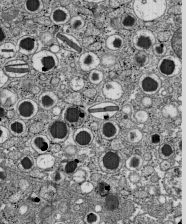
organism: C57BL Mouse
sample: Pancreatic islet